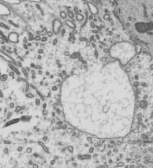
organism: Mouse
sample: Mouse epididymis efferent ductule cilia